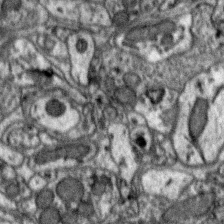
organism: Zebra finch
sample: Brain